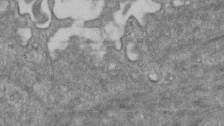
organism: Mouse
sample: Centriole in ependymal cells